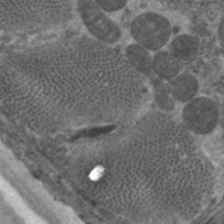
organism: C. elegans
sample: Pharynx